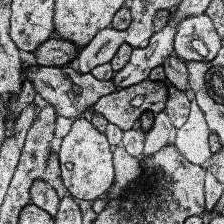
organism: Human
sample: Temporal Lobe